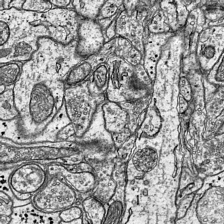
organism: Mouse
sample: Visual Cortex